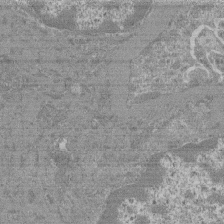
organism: Mouse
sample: Glomerulus